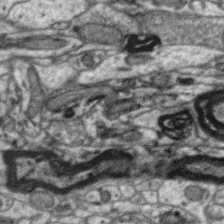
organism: Zebra finch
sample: Brain